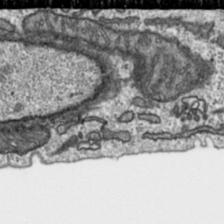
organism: Toxoplasma gondii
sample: Parasites in a vacuole inside a host cell